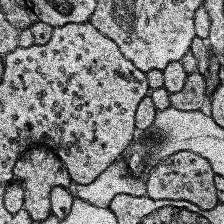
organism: Human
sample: Temporal Lobe